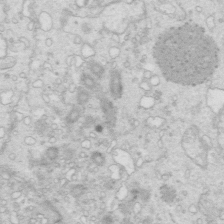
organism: Mouse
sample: Multiciliated cells